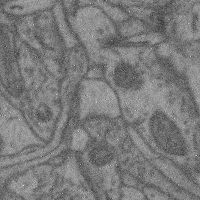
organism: Mouse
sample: Cerebral cortex